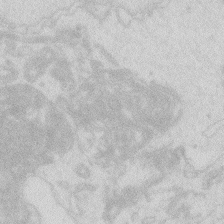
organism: Zebrafish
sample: Macrophage